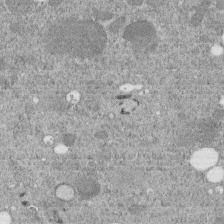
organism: C. elegans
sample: C. elegans embryo early stage